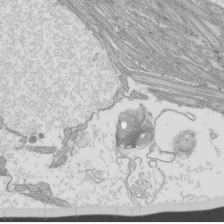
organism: Mouse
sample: Cilia; mouse epididymis